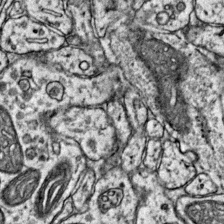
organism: Mouse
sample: Primary visual cortex